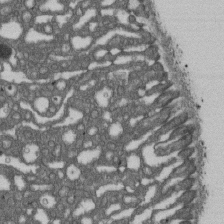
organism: Drosophila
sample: Nephrocyte